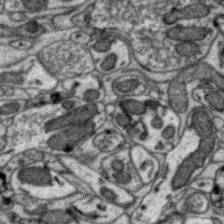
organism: Zebra finch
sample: Brain